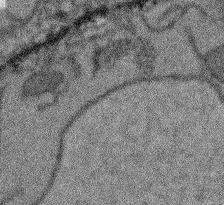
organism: Arabidopsis thaliana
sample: Root tip